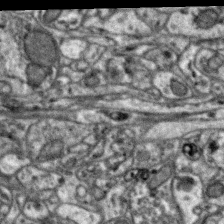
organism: Zebra finch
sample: Brain